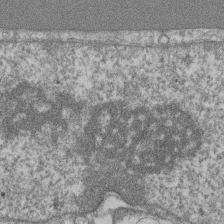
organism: Mouse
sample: T cell stromal cell synapse